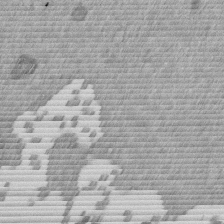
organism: Mouse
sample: Dividing mouse embryo 1 cell stage